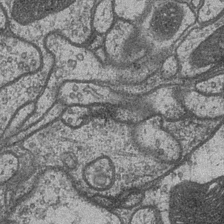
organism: Drosophila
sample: Optic medulla